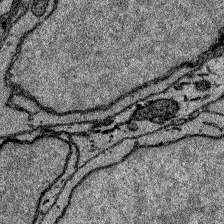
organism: Zebrafish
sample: Larval olfactory bulb